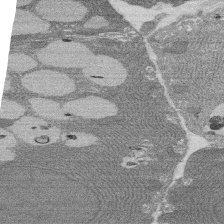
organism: Rat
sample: Salivary granule